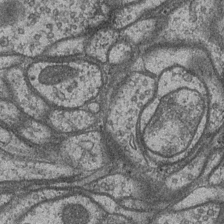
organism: Drosophila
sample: Optic medulla